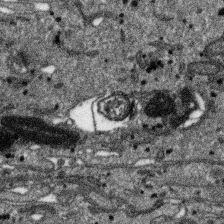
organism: Human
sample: Lung epithelial cells infected with SARS-CoV-2